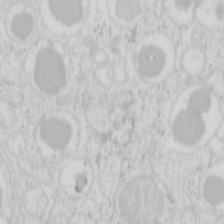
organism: Mouse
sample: Pancreas